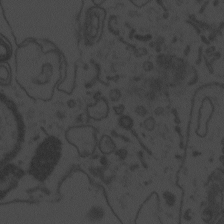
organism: Zebrafish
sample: Macrophage infected with Toxoplasma gondii